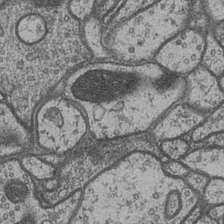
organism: Drosophila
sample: Optic medulla